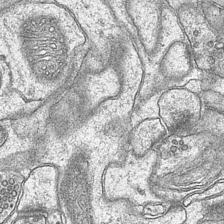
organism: Mouse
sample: CA1 Hippocampus